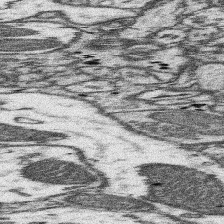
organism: Mouse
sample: Somatosensory cortex neuropil